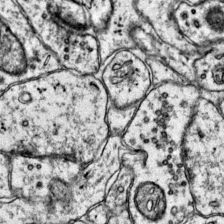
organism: Mouse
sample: Primary visual cortex